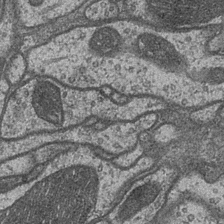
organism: Drosophila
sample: Optic medulla